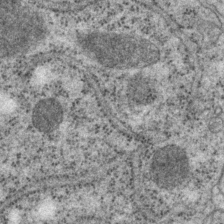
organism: P. pacificus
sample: Pharynx